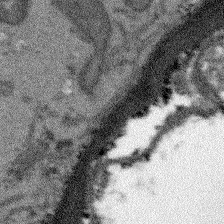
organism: Arabidopsis thaliana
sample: Root tip